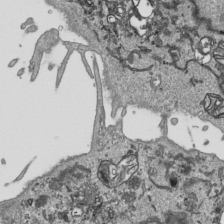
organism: Human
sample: Mitochondria in HCT116 cells